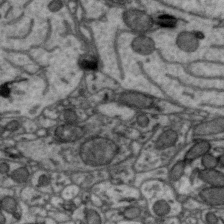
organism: Zebra finch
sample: Brain